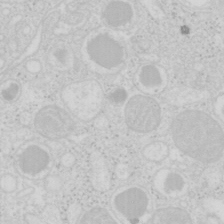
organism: Mouse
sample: Pancreas